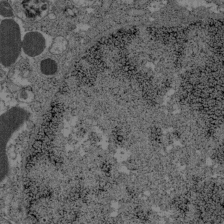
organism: C57BL Mouse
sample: Pancreatic islet